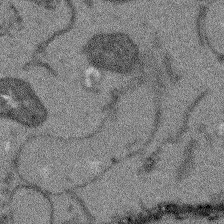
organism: Arabidopsis thaliana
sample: Root tip